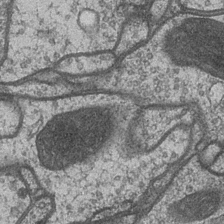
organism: Drosophila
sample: Optic medulla